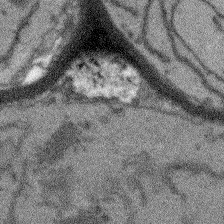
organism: Arabidopsis thaliana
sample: Root tip